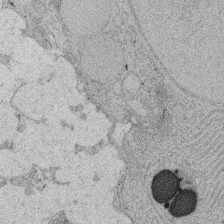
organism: Rat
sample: Salivary granule